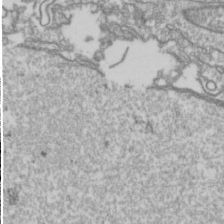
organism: Drosophila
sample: Cell division; meiosis; drosophila spermatocytes